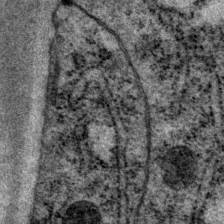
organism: P. pacificus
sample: Pharynx